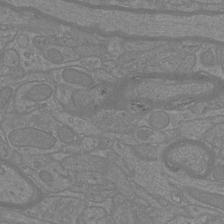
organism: Mouse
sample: Cortical neurons